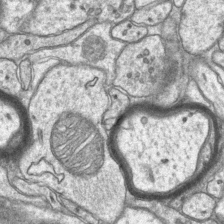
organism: Mouse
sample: CA1 Hippocampus